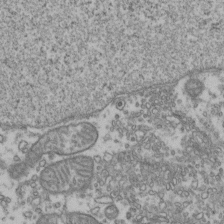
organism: Human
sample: Activated Jurkat CD4+ T cells